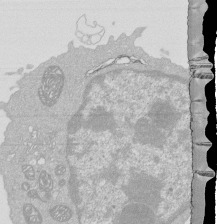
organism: Mouse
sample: Activated Pmel transgenic CD8+ T Cells